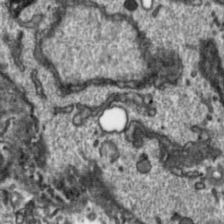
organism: Toxoplasma gondii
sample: Parasites in a vacuole inside a host cell